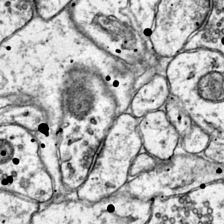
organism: Mouse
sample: Primary visual cortex